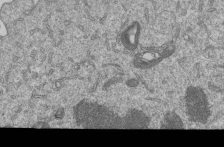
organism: Human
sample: MDA-MB-231 cells